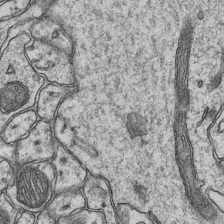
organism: Mouse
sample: CA1 Hippocampus